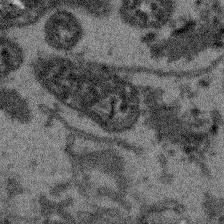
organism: Arabidopsis thaliana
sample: Root tip